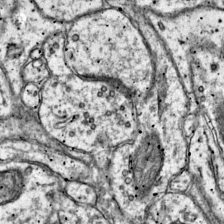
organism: Mouse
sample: Primary visual cortex